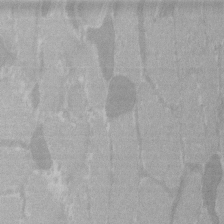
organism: C57BL Mouse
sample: Tibialis anterior muscle cell